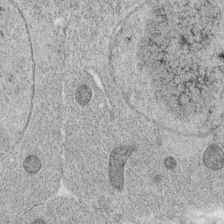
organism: C. elegans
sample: C. elegans oocyte; sperm cells